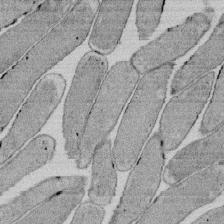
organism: E. coli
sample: Bacterial nucleoid